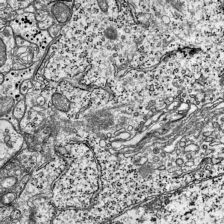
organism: Mouse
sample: Visual Cortex